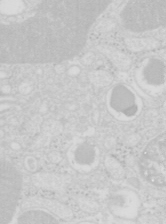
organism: Mouse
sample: Pancreas